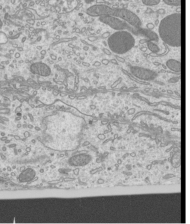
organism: Mouse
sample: Cilia; mouse epididymis